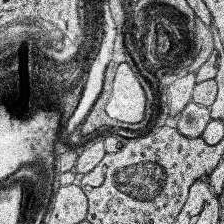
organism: Human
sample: Temporal Lobe